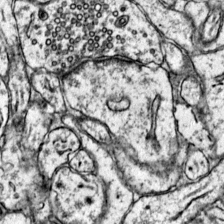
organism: Mouse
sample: Primary visual cortex